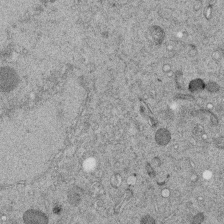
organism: C. elegans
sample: C. elegans embryo early stage